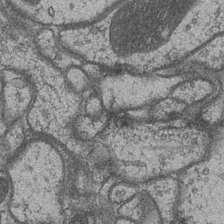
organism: Drosophila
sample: Optic medulla